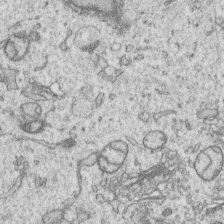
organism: Human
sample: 1205lu cells